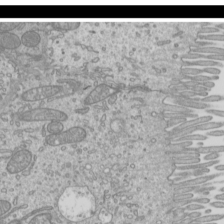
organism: Mouse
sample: Cilia; mouse epididymis